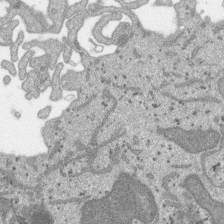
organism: Human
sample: Lung epithelial cells infected with SARS-CoV-2